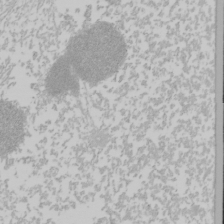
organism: Mouse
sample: Cancer cell death in ED-1 cells